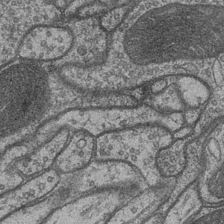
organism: Drosophila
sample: Optic medulla